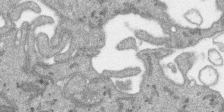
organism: Human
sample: Lung epithelial cells infected with SARS-CoV-2